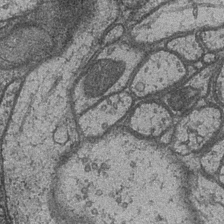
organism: Drosophila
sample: Optic medulla